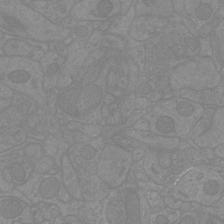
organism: Mouse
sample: Cortical neurons